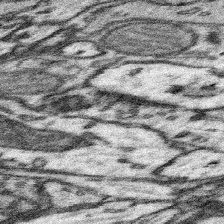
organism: Mouse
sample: Somatosensory cortex neuropil